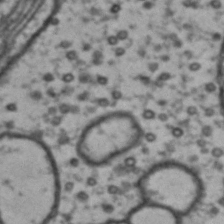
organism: Drosophila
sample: Brain